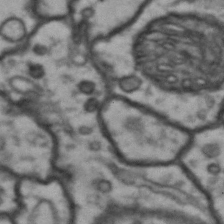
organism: Drosophila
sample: Brain